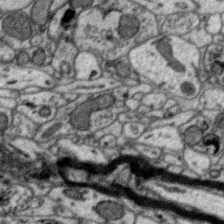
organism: Zebra finch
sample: Brain